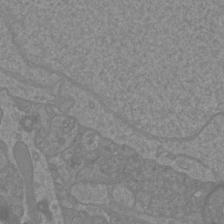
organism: Mouse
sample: Cortical neurons